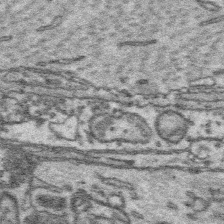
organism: Platynereis dumerilii